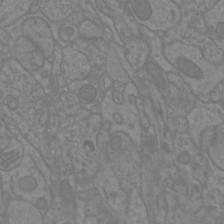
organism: Mouse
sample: Cortical neurons